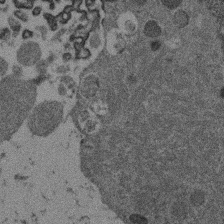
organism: Mouse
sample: Dividing mouse embryo 1 cell stage